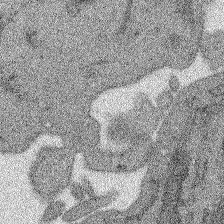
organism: Human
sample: HeLa cells